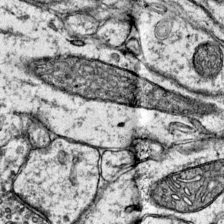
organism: Mouse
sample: Primary visual cortex